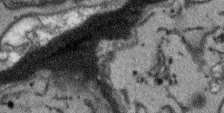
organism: Arabidopsis thaliana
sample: Root tip